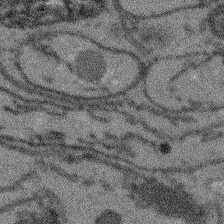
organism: Arabidopsis thaliana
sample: Root tip